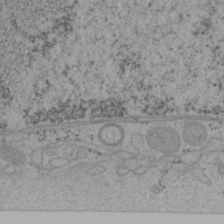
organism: Human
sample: HeLa cells